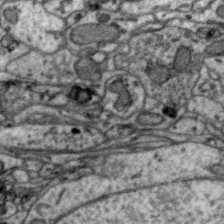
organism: Zebra finch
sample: Brain